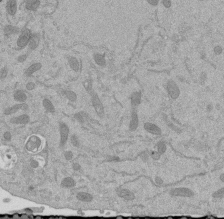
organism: Mouse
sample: ED-1 cell nuclei; centrioles